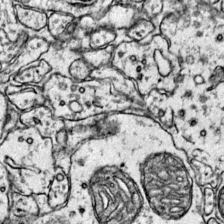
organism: Mouse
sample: Primary visual cortex